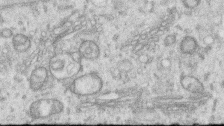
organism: Human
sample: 1205lu cells